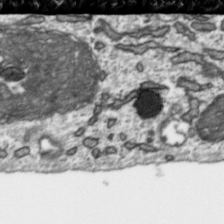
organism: Toxoplasma gondii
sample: Parasites in a vacuole inside a host cell